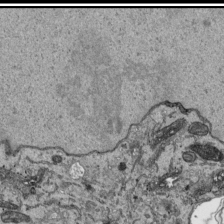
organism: Human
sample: Mitochondria in HCT116 cells